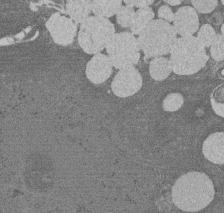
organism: Rat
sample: Salivary granule